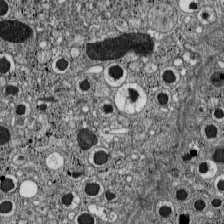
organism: C57BL Mouse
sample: Pancreatic islet